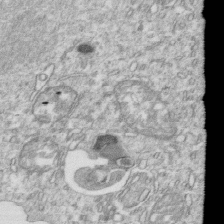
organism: Mouse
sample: Activated OT-1 CD8+ T cells